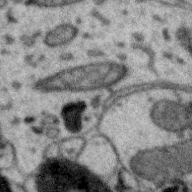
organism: Zebra finch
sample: Brain